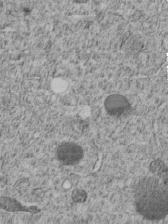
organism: C. elegans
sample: C. elegans embryo early stage